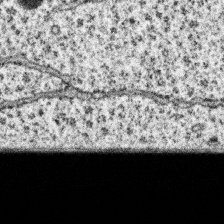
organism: Human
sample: HeLa cells